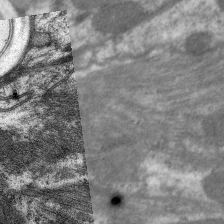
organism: C. elegans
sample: Pharynx